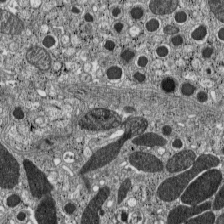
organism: C57BL Mouse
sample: Pancreatic islet